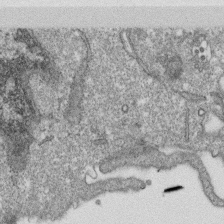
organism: African green monkey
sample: Vero E6 cells infected with SARS-CoV-2